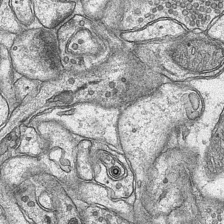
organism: Mouse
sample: CA1 Hippocampus